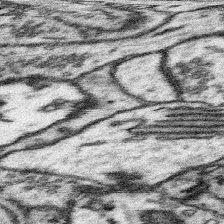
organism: Mouse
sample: Somatosensory cortex neuropil